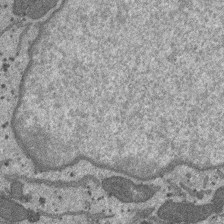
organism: Human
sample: Lung epithelial cells infected with SARS-CoV-2